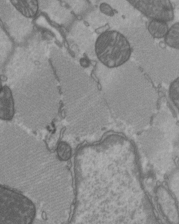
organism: C57BL Mouse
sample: Heart